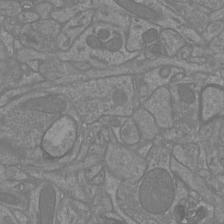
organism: Mouse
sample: Cortical neurons